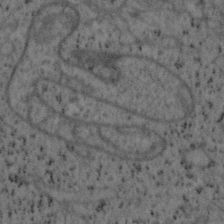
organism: Human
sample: HeLa cells